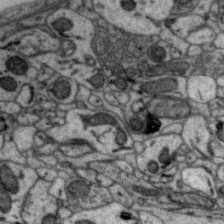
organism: Zebra finch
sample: Brain